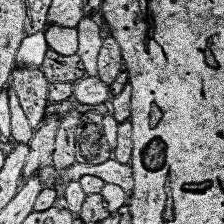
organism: Human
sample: Temporal Lobe